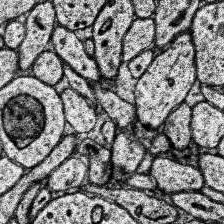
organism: Human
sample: Temporal Lobe